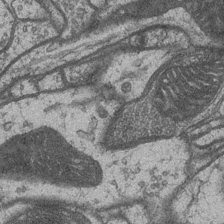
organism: Drosophila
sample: Optic medulla